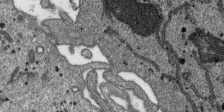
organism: Human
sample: Lung epithelial cells infected with SARS-CoV-2